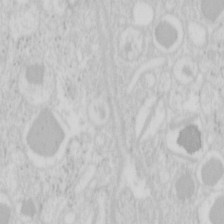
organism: Mouse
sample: Pancreas